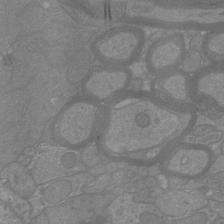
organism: Mouse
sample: Cortical neurons